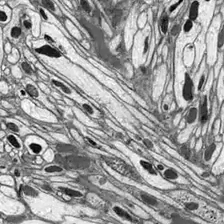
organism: Drosophila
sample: Optic lobe